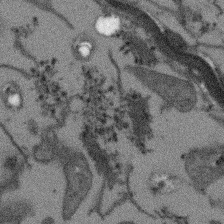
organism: Arabidopsis thaliana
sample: Root tip